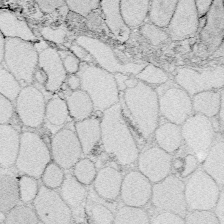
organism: Zebrafish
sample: Whole-Brain